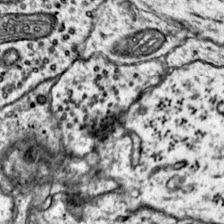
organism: Mouse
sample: Primary visual cortex